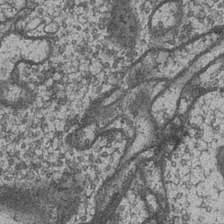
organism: Drosophila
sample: Optic medulla